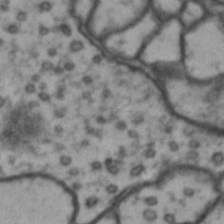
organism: Drosophila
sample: Brain